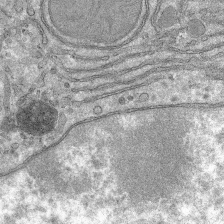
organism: Mouse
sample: Mouse hepatocytes